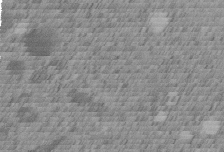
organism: C. elegans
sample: C. elegans embryo early stage